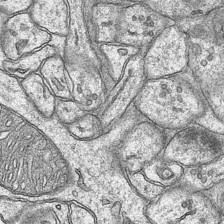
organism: Mouse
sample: CA1 Hippocampus